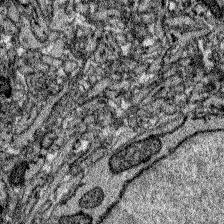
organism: Zebrafish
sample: Larval olfactory bulb